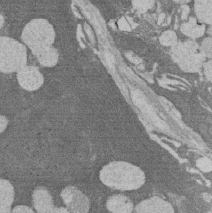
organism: Rat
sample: Salivary granule